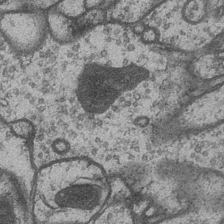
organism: Drosophila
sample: Optic medulla